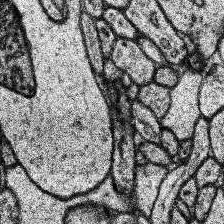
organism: Human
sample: Temporal Lobe